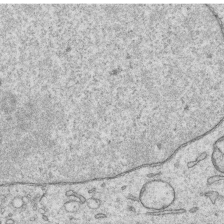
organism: Human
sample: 1205lu cells